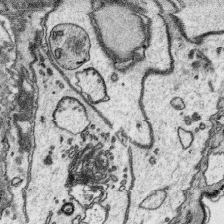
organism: Platynereis dumerilii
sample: Parapodia